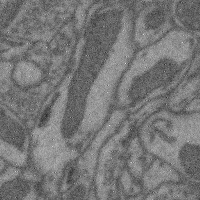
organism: Mouse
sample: Cerebral cortex